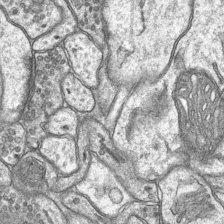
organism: Mouse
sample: CA1 Hippocampus